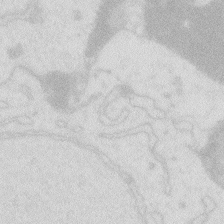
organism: Zebrafish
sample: Macrophage